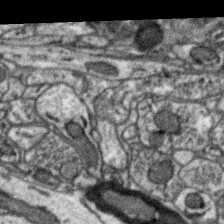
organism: Zebra finch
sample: Brain